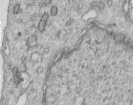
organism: Human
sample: Centriole in RPE cells